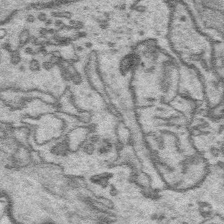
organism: Platynereis dumerilii